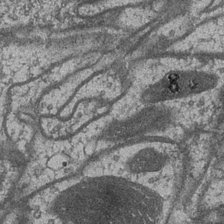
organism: Drosophila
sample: Optic medulla